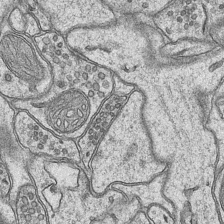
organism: Mouse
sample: CA1 Hippocampus